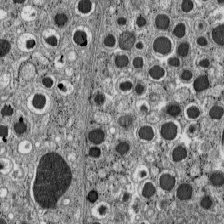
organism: C57BL Mouse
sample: Pancreatic islet